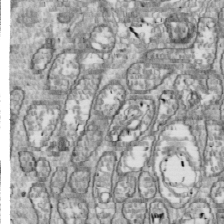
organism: Drosophila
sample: Cell division; meiosis; drosophila spermatocytes